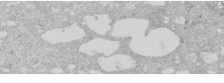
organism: Human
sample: Caco-2 cells